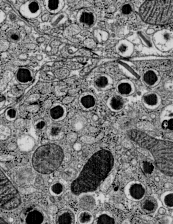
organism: C57BL Mouse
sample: Pancreatic islet